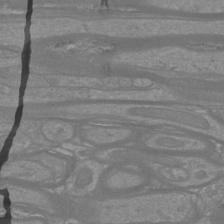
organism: Mouse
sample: Cortical neurons